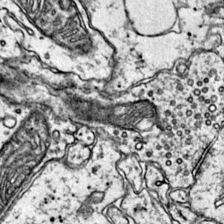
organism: Mouse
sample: Primary visual cortex